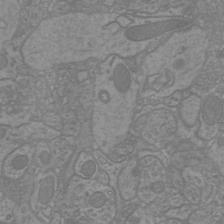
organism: Mouse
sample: Cortical neurons